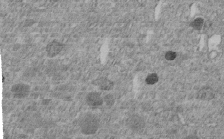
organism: C. elegans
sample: C. elegans embryo early stage